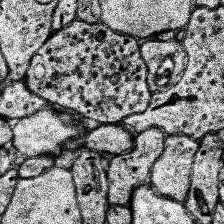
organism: Human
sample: Temporal Lobe